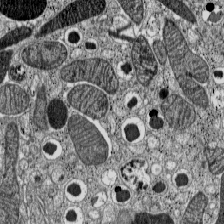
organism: C57BL Mouse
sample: Pancreatic islet